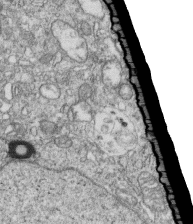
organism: Human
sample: HeLa cell HIV synapse